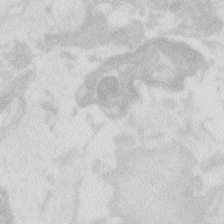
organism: Zebrafish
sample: Macrophage